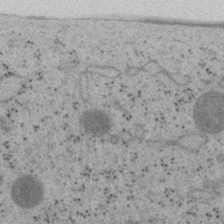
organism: Human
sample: HeLa cells